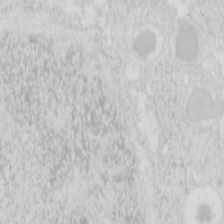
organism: Mouse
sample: Pancreas